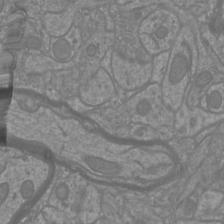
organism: Mouse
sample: Cortical neurons